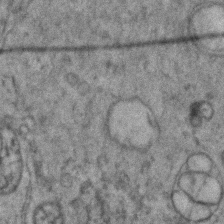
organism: Zebrafish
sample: Zebrafish embryo